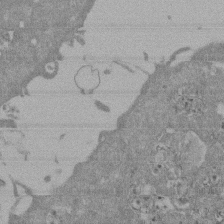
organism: Mouse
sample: ED-1 cell nuclei; centrioles